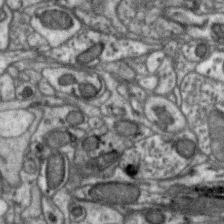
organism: Zebra finch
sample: Brain